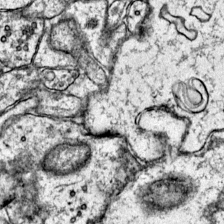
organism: Mouse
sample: Primary visual cortex